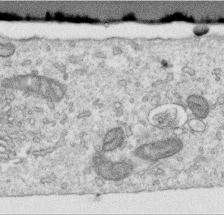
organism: Human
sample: Centriole in RPE cells